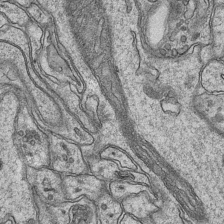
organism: Mouse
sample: CA1 Hippocampus